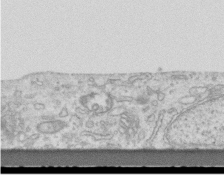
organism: Mouse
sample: Centriole in ependymal cells